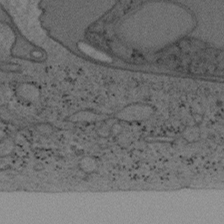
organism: Human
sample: HeLa cells